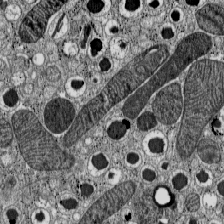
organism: C57BL Mouse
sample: Pancreatic islet